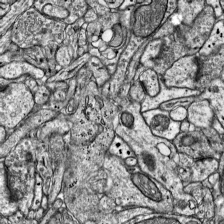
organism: Mouse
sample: Visual Cortex